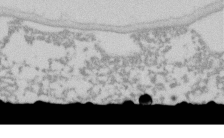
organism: C. elegans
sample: C. elegans embryo early stage